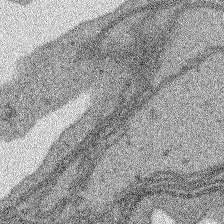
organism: Human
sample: HeLa cells